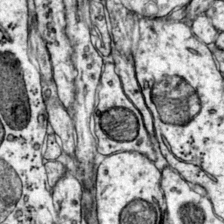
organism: Mouse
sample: Primary visual cortex